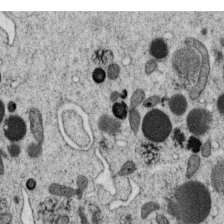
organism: C. elegans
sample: C. elegans oocyte; sperm cells